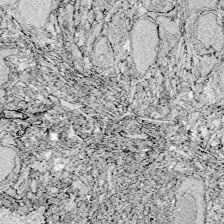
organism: Zebrafish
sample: Whole-Brain